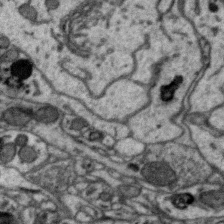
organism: Zebra finch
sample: Brain